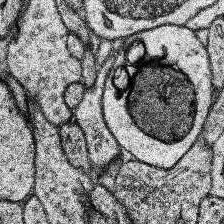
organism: Human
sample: Temporal Lobe